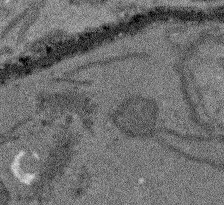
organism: Arabidopsis thaliana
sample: Root tip